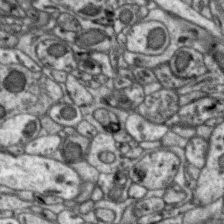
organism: Zebra finch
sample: Brain